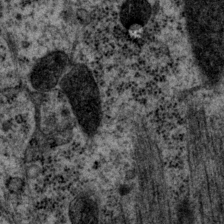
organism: P. pacificus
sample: Pharynx